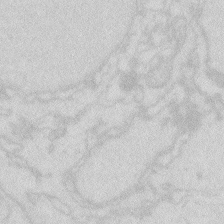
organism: Zebrafish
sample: Macrophage